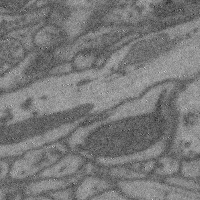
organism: Mouse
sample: Cerebral cortex